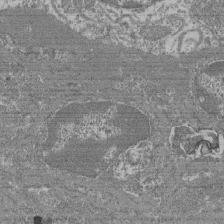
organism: Mouse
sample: Glomerulus